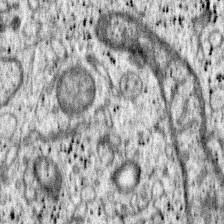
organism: Human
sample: HeLa cells